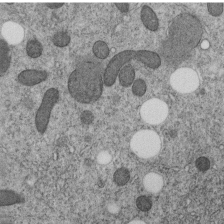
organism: C. elegans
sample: C. elegans embryo early stage